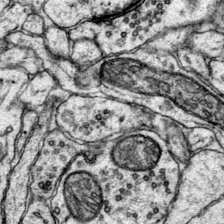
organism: Mouse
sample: Primary visual cortex